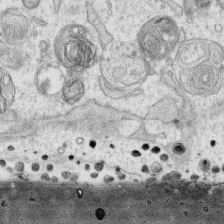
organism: Human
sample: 1205lu cells